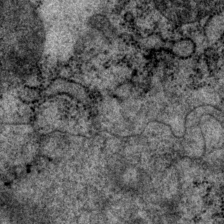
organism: P. pacificus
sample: Pharynx